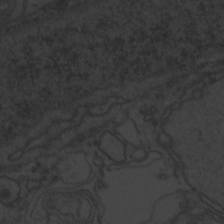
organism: Zebrafish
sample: Macrophage infected with Toxoplasma gondii